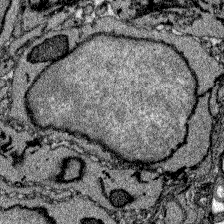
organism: Zebrafish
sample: Larval olfactory bulb